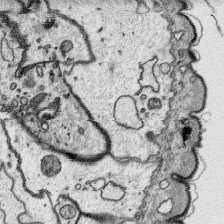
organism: Platynereis dumerilii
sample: Parapodia